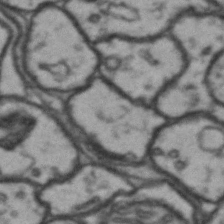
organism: Drosophila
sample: Brain